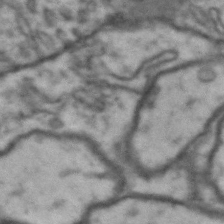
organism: Drosophila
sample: Brain